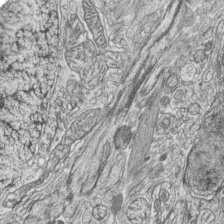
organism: Zebrafish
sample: synaptic ribbons in rod cells and cone cells